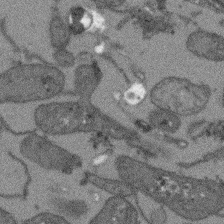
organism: Arabidopsis thaliana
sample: Root tip